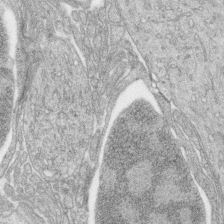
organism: Zebrafish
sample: synaptic ribbons in rod cells and cone cells